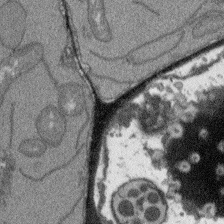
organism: Arabidopsis thaliana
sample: Root tip